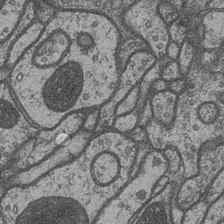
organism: Drosophila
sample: Optic medulla